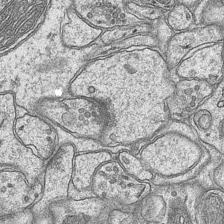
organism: Mouse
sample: CA1 Hippocampus